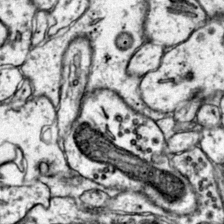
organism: Mouse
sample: Primary visual cortex